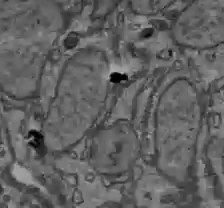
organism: C57BL Mouse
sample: Liver